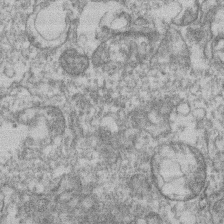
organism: Mouse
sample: T cell stromal cell synapse